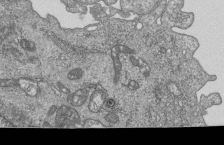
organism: Human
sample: MDA-MB-231 cells